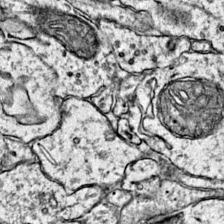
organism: Mouse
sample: Primary visual cortex